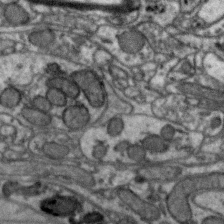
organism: Zebra finch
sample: Brain